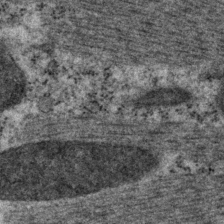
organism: P. pacificus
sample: Pharynx